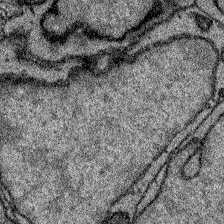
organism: Zebrafish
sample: Larval olfactory bulb